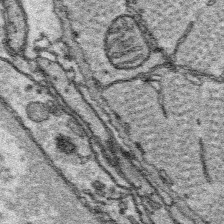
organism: Platynereis dumerilii